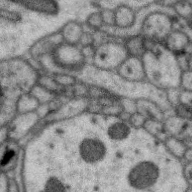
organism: Zebra finch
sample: Brain